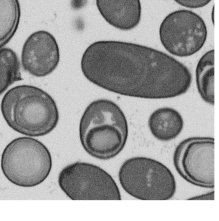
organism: B. subtilis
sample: Bacterial spore